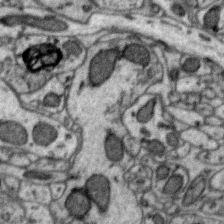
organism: Zebra finch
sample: Brain